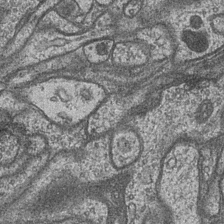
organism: Drosophila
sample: Optic medulla